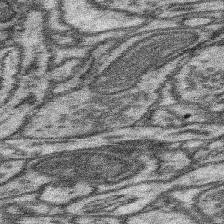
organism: Mouse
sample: Somatosensory cortex neuropil